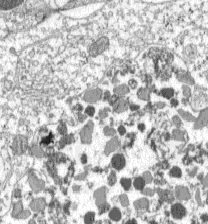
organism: C57BL Mouse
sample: Pancreatic islet